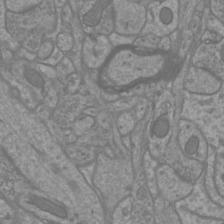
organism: Mouse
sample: Cortical neurons